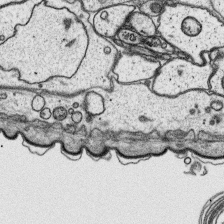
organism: Platynereis dumerilii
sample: Parapodia